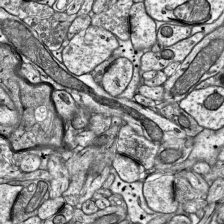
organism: Mouse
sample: Visual Cortex